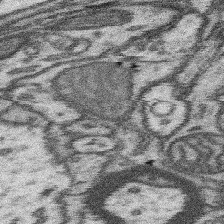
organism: Mouse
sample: Somatosensory cortex neuropil